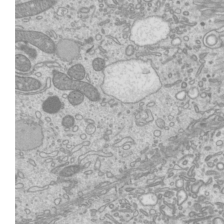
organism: Mouse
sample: Cilia; mouse epididymis